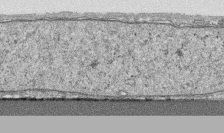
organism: Human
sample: CRL-1474